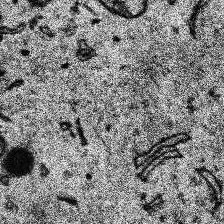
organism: Human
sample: Temporal Lobe